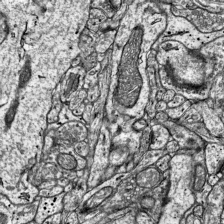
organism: Mouse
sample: Visual Cortex